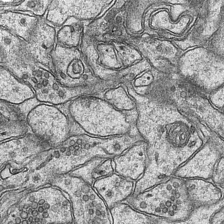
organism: Mouse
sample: CA1 Hippocampus